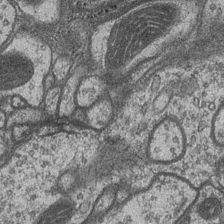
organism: Drosophila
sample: Optic medulla